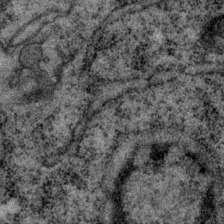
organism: P. pacificus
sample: Pharynx